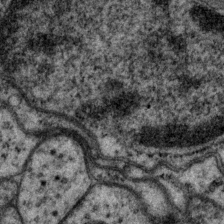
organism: P. pacificus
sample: Pharynx